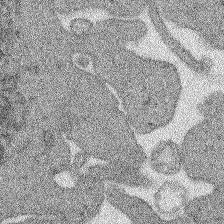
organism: Human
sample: HeLa cells